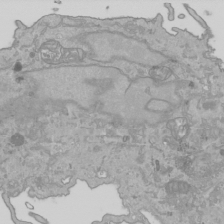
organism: Human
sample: Mitochondria in HCT116 cells